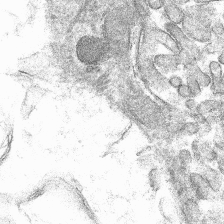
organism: Mouse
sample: Mouse hepatocytes